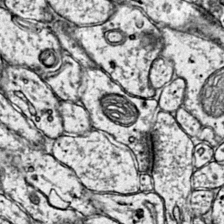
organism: Mouse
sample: Primary visual cortex